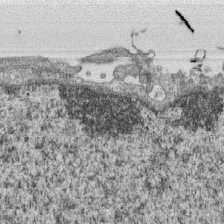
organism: African green monkey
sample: Vero E6 cells infected with SARS-CoV-2